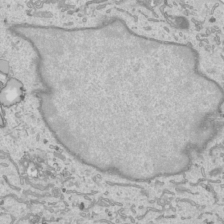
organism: Human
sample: Mitochondria in HCT116 cells